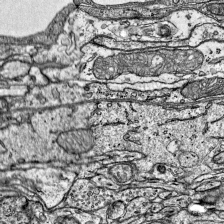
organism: Mouse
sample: Visual Cortex